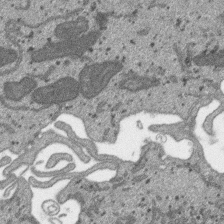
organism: Human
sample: Lung epithelial cells infected with SARS-CoV-2